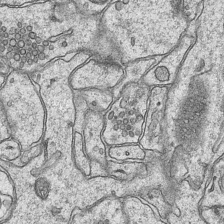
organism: Mouse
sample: CA1 Hippocampus